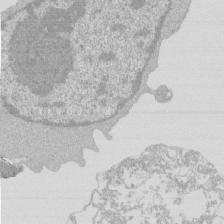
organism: Mouse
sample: Activated Pmel transgenic CD8+ T Cells